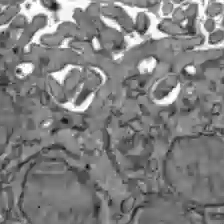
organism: C57BL Mouse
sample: Liver